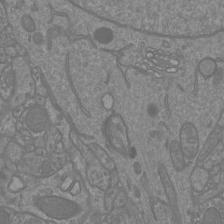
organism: Mouse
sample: Cortical neurons